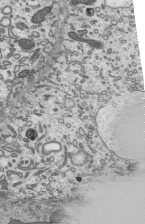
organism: Mouse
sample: Mouse epididymis efferent ductule cilia